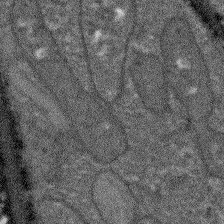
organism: Arabidopsis thaliana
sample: Root tip